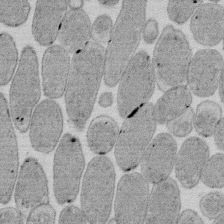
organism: E. coli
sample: Bacterial nucleoid